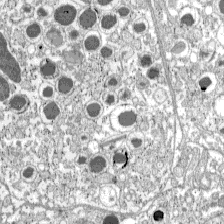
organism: C57BL Mouse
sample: Pancreatic islet